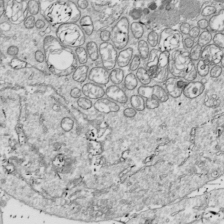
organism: Drosophila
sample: Cell division; meiosis; drosophila spermatocytes